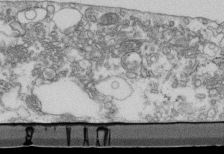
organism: Mouse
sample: Cilia; retinal pigment epithelium